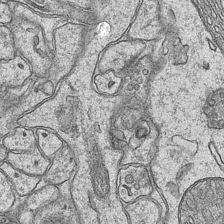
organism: Mouse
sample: CA1 Hippocampus